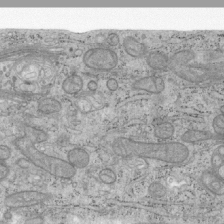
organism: Human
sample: HeLa cells